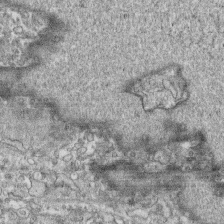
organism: Human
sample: CRL-1474